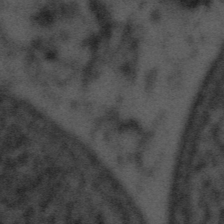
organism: Tuwongella immobilis